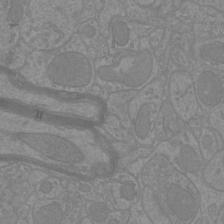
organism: Mouse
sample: Cortical neurons